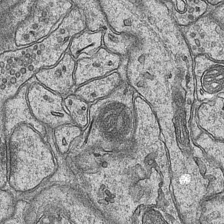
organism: Mouse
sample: CA1 Hippocampus